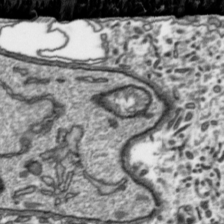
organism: Toxoplasma gondii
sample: Parasites in a vacuole inside a host cell